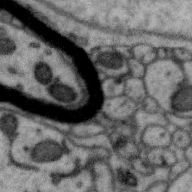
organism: Zebra finch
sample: Brain